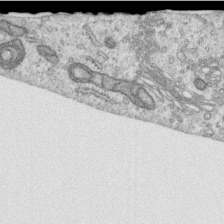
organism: Human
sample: Centriole in RPE cells